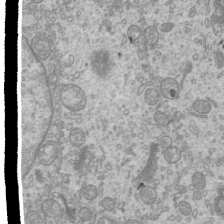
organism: Mouse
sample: Cilia; mouse epididymis